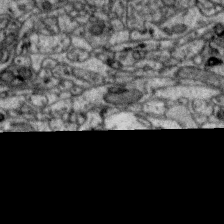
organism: Zebra finch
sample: Brain